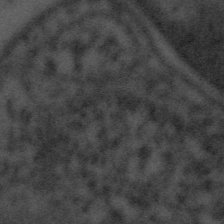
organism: Tuwongella immobilis